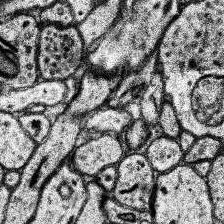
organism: Human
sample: Temporal Lobe